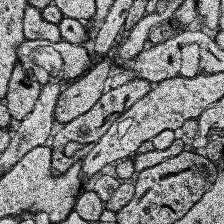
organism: Human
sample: Temporal Lobe